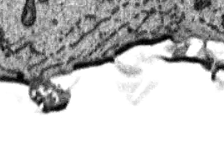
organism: Human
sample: HeLa cells